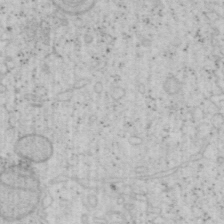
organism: Human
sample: HeLa cells